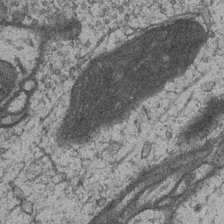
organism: Drosophila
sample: Optic medulla